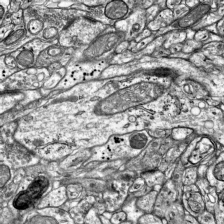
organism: Mouse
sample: Visual Cortex